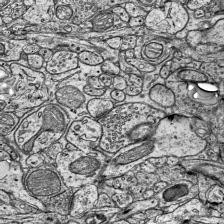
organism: Mouse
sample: Visual Cortex